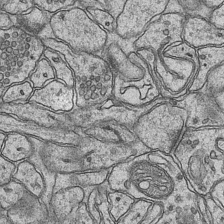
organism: Mouse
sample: CA1 Hippocampus